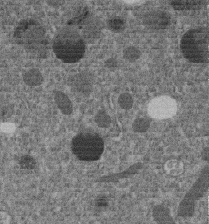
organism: C. elegans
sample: C. elegans embryo early stage